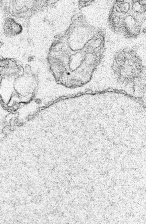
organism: Human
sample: Mitochondria in HCT116 cells